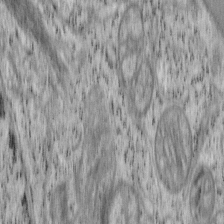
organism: Human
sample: HeLa cells